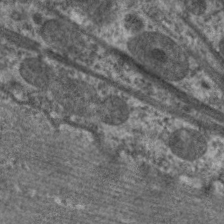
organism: C. elegans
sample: Pharynx